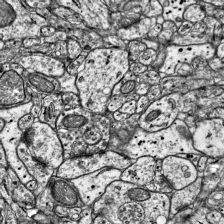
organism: Mouse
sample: Visual Cortex